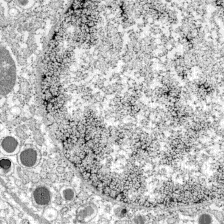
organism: C57BL Mouse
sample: Pancreatic islet